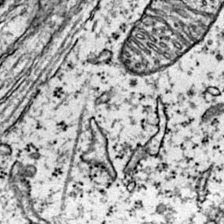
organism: Mouse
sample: Primary visual cortex